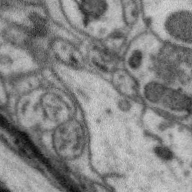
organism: Zebra finch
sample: Brain